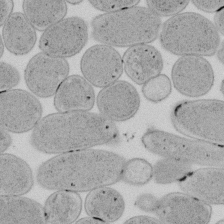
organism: E. coli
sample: Bacterial nucleoid